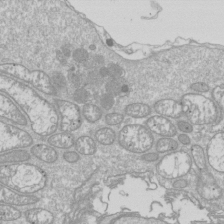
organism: Drosophila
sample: Cell division; meiosis; drosophila spermatocytes